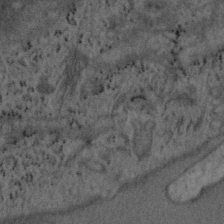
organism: Human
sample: HeLa cells